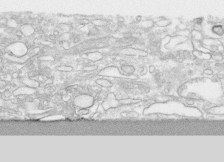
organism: Human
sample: CRL-1474